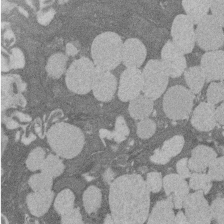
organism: Rat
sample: Salivary granule